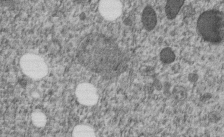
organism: C. elegans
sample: C. elegans embryo early stage